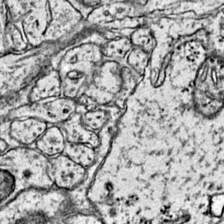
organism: Mouse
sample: Primary visual cortex